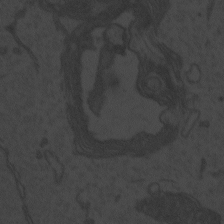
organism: Zebrafish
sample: Macrophage infected with Toxoplasma gondii